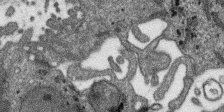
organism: Human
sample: Lung epithelial cells infected with SARS-CoV-2